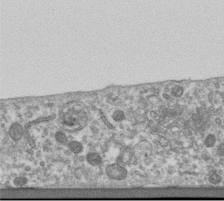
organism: Human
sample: Centriole in RPE cells